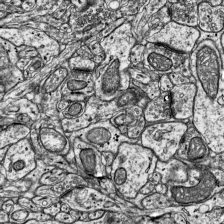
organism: Mouse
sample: Visual Cortex